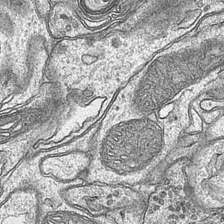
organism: Mouse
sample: CA1 Hippocampus